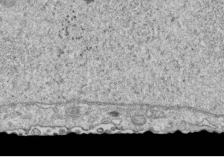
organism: Human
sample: HeLa cell HIV synapse